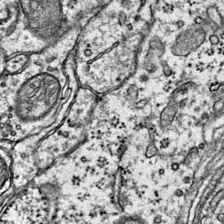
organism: Mouse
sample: Primary visual cortex